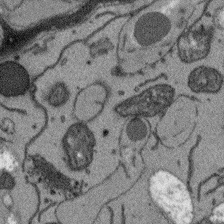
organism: Arabidopsis thaliana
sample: Root tip